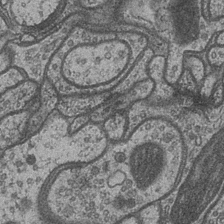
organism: Drosophila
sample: Optic medulla